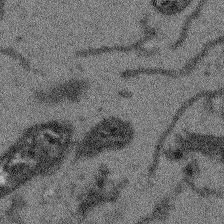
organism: Arabidopsis thaliana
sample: Root tip